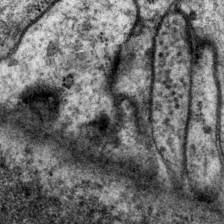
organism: P. pacificus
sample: Pharynx